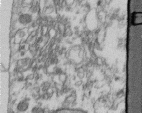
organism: Human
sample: Centriole in fibroblast cells